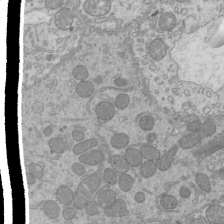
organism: Mouse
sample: Cilia; mouse epididymis